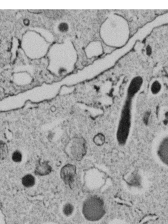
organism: C. elegans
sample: C. elegans embryo early stage